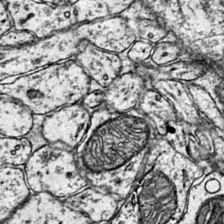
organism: Mouse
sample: Primary visual cortex